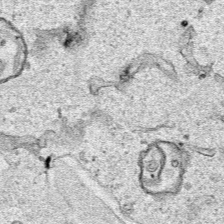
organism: Human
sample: Mitochondria in HCT116 cells